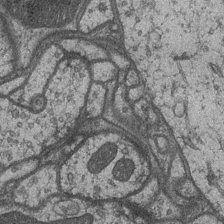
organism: Drosophila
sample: Optic medulla